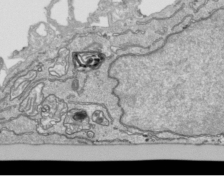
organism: Human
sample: Mitochondria in HCT116 cells